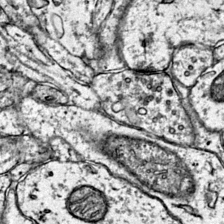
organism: Mouse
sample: Primary visual cortex